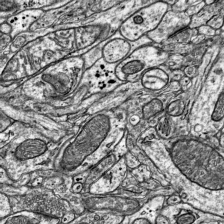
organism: Mouse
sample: Visual Cortex